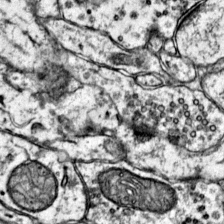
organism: Mouse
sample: Primary visual cortex